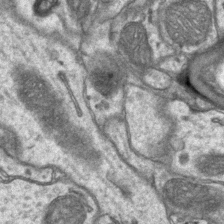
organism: Mouse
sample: CA1 Hippocampus